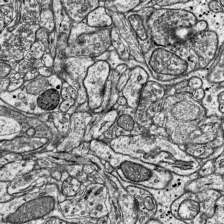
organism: Mouse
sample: Visual Cortex